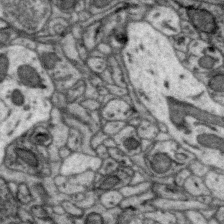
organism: Zebra finch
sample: Brain